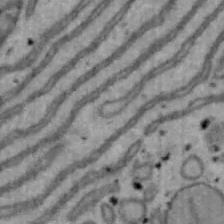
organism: Mouse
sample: Liver